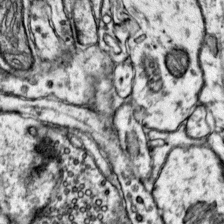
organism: Mouse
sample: Primary visual cortex